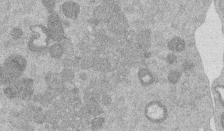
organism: Mouse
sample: Dividing mouse embryo 1 cell stage